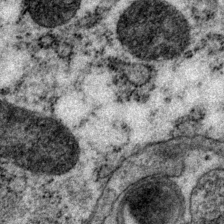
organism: P. pacificus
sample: Pharynx